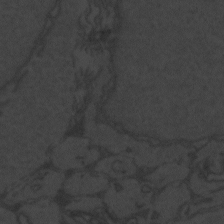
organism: Zebrafish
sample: Macrophage infected with Toxoplasma gondii